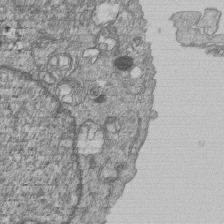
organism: Human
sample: MDA-MB-231 cells